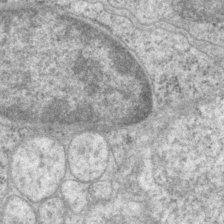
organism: P. pacificus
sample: Pharynx